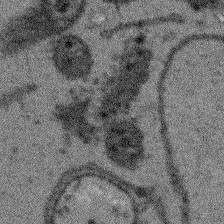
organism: Arabidopsis thaliana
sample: Root tip